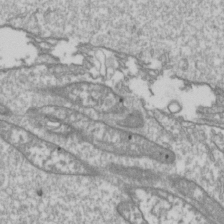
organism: Drosophila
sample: Cell division; meiosis; drosophila spermatocytes